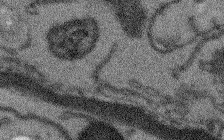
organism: Arabidopsis thaliana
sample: Root tip